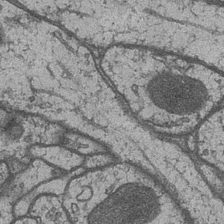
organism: Drosophila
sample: Optic medulla